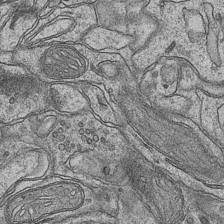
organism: Mouse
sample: CA1 Hippocampus